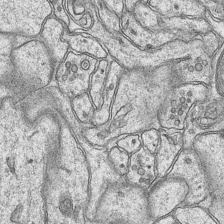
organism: Mouse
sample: CA1 Hippocampus